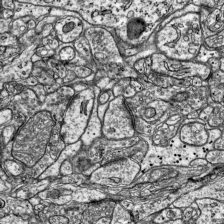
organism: Mouse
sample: Visual Cortex